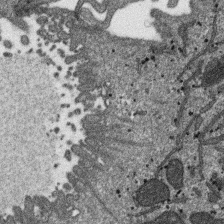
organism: Human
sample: Lung epithelial cells infected with SARS-CoV-2